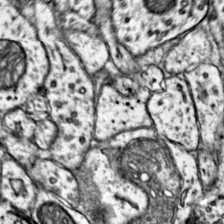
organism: Mouse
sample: Primary visual cortex